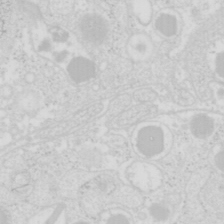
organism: Mouse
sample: Pancreas